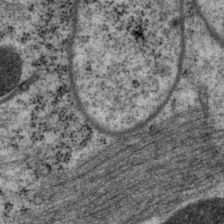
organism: P. pacificus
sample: Pharynx